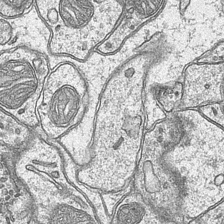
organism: Mouse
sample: CA1 Hippocampus